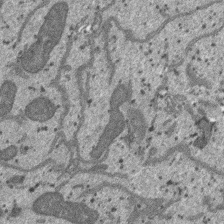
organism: Human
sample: Lung epithelial cells infected with SARS-CoV-2